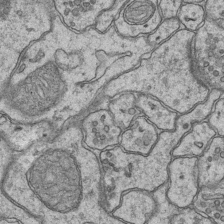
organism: Mouse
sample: CA1 Hippocampus